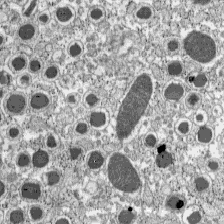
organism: C57BL Mouse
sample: Pancreatic islet